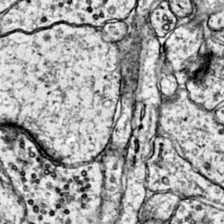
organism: Mouse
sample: Primary visual cortex